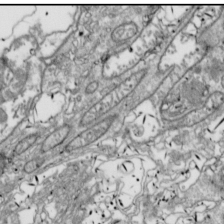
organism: Drosophila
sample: Cell division; meiosis; drosophila spermatocytes